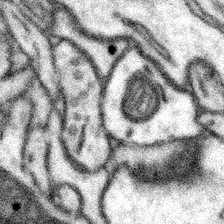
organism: Mouse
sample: Somatosensory cortex neuropil